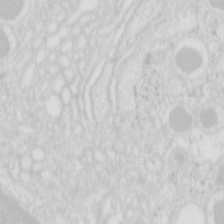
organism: Mouse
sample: Pancreas